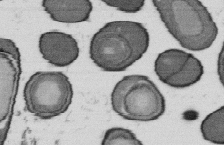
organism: B. subtilis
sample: Bacterial spore